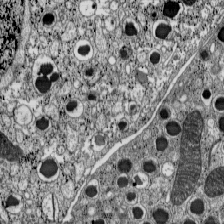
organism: C57BL Mouse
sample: Pancreatic islet